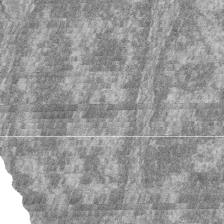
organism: Zebrafish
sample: Cilia; retinal pigment epithelium